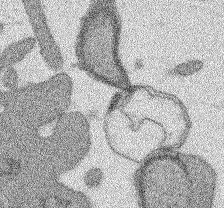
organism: Human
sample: HeLa cells